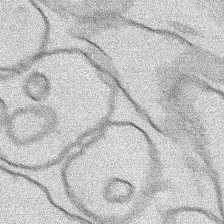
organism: Human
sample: Mitochondria in HCT116 cells